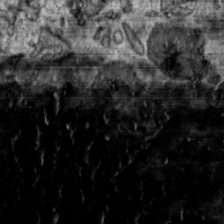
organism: Toxoplasma gondii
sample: Parasites in a vacuole inside a host cell